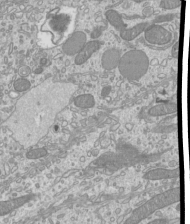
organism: Mouse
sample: Cilia; mouse epididymis